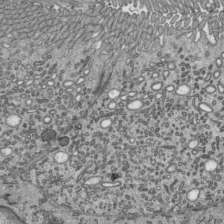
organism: Mouse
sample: Mouse epididymis efferent ductule cilia